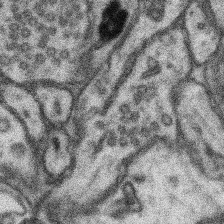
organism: Mouse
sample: Somatosensory cortex neuropil